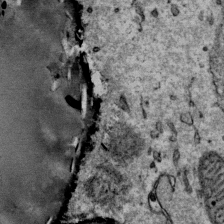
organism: Mouse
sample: Mouse Salivary gland